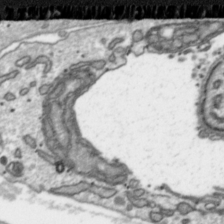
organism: Toxoplasma gondii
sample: Parasites in a vacuole inside a host cell